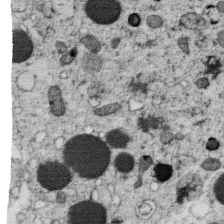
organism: C. elegans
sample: C. elegans oocyte; sperm cells